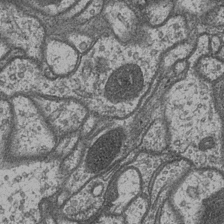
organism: Drosophila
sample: Optic medulla